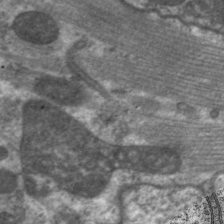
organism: C. elegans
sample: Pharynx